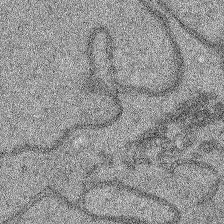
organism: Human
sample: HeLa cells